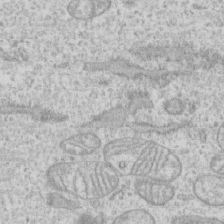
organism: Human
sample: CRL-1474